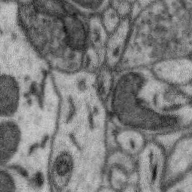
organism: Zebra finch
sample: Brain